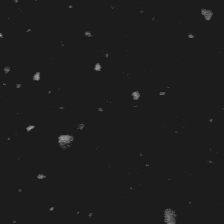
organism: Platynereis dumerilii